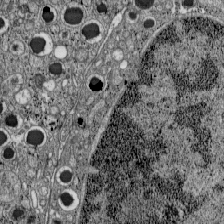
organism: C57BL Mouse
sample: Pancreatic islet